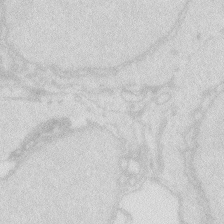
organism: Zebrafish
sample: Macrophage